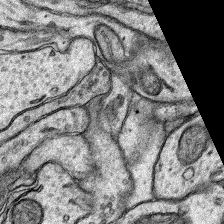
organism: Rat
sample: Hippocampus